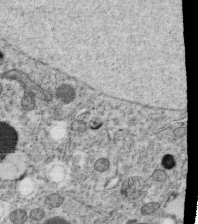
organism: C. elegans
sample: C. elegans oocyte; sperm cells